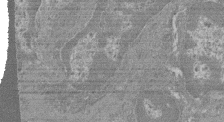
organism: Mouse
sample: Glomerulus